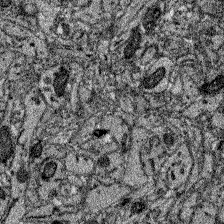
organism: Zebrafish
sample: Larval olfactory bulb